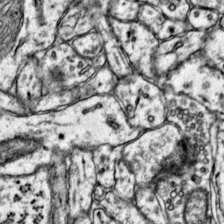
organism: Mouse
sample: Primary visual cortex